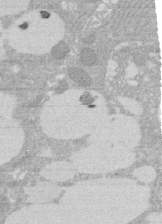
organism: Rat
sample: Salivary granule